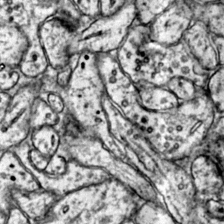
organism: Mouse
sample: Primary visual cortex